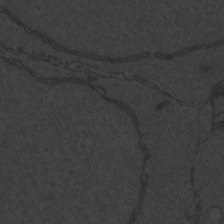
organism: Zebrafish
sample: Macrophage infected with Toxoplasma gondii